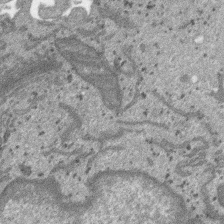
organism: Human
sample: Lung epithelial cells infected with SARS-CoV-2